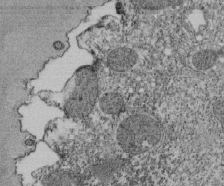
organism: Tetrahymena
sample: Cilia in tetrahymena